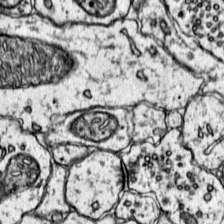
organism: Mouse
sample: Primary visual cortex